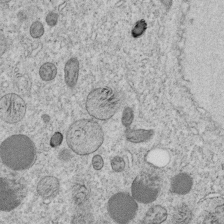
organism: C. elegans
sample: C. elegans embryo early stage